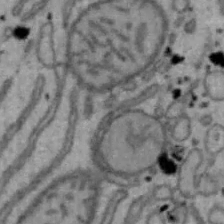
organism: Mouse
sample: Liver